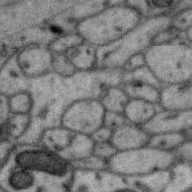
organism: Zebra finch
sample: Brain